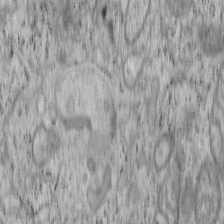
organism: Human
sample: HeLa cells